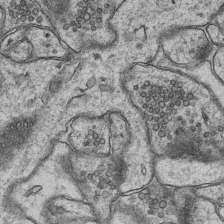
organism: Mouse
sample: CA1 Hippocampus